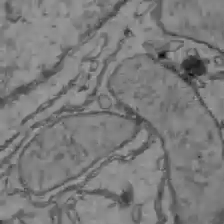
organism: C57BL Mouse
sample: Liver